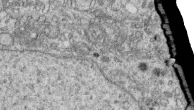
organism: Human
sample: HeLa cell HIV synapse